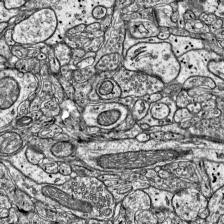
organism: Mouse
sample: Visual Cortex